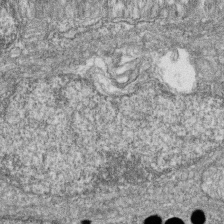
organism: Zebrafish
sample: Cilia; retinal pigment epithelium